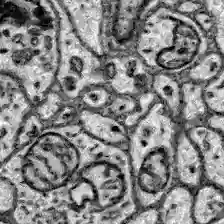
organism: Zebrafish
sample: Brain